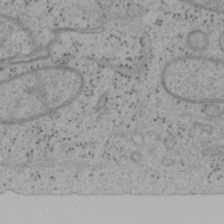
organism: Human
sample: HeLa cells